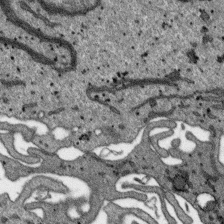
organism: Human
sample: Lung epithelial cells, uninfected (mock) control